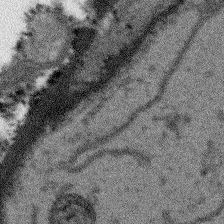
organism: Arabidopsis thaliana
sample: Root tip